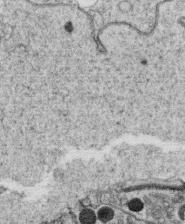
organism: C. elegans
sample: C. elegans oocyte; sperm cells